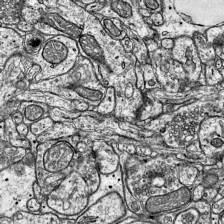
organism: Mouse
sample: Visual Cortex